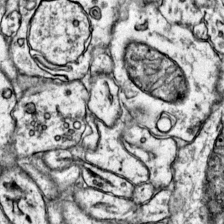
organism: Mouse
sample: Primary visual cortex